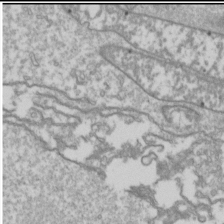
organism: Drosophila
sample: Cell division; meiosis; drosophila spermatocytes